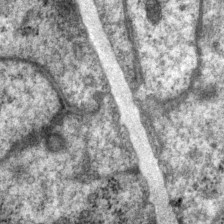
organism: P. pacificus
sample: Pharynx